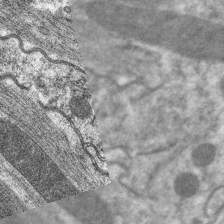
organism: C. elegans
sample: Pharynx